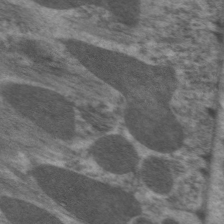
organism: C. elegans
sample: Pharynx